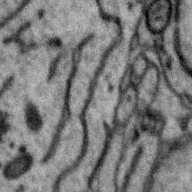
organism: Zebra finch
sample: Brain